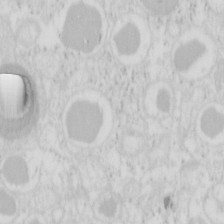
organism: Mouse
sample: Pancreas